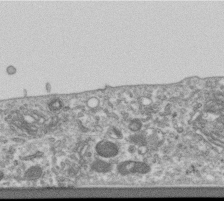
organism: Human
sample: Centriole in RPE cells